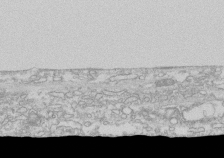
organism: Human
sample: CRL-1474